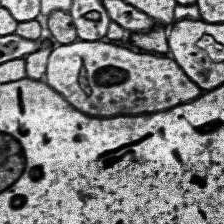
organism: Human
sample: Temporal Lobe